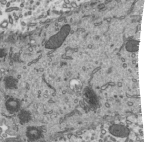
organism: Mouse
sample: Mouse epididymis efferent ductule cilia